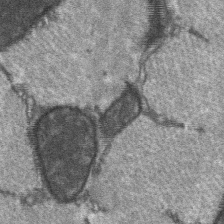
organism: C57BL Mouse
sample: Soleus